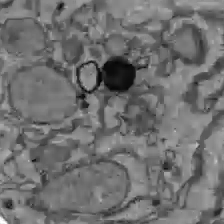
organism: C57BL Mouse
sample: Liver